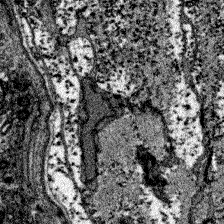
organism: Zebrafish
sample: Larval olfactory bulb